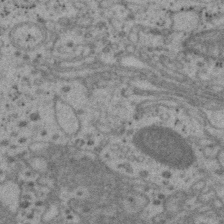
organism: Human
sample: HeLa cells